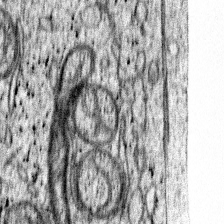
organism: Human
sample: HeLa cells